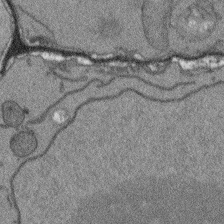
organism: Arabidopsis thaliana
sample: Root tip